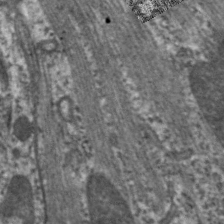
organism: C. elegans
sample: Pharynx